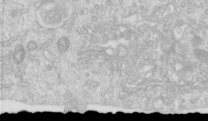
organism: Human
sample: Centriole in RPE cells